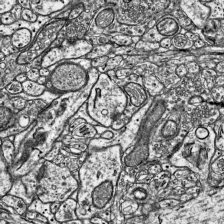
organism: Mouse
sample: Visual Cortex